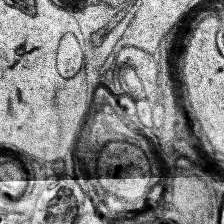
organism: Human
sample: Temporal Lobe